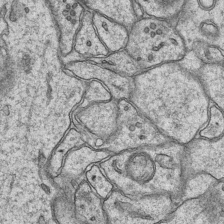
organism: Mouse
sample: CA1 Hippocampus